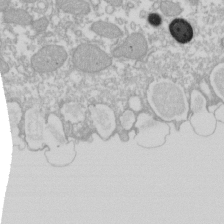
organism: Xenopus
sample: Cilia; centrioles in frog embryo cells